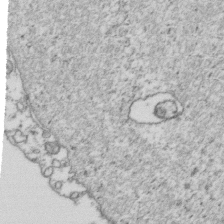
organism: Human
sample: Activated Jurkat CD4+ T cells